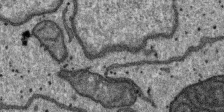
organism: Human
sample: Lung epithelial cells, uninfected (mock) control